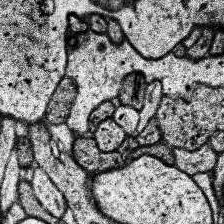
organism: Human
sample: Temporal Lobe